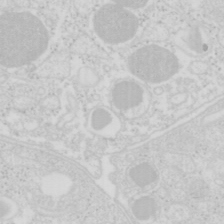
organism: Mouse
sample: Pancreas